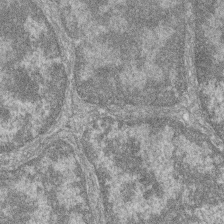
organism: Zebrafish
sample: Cilia; retinal pigment epithelium